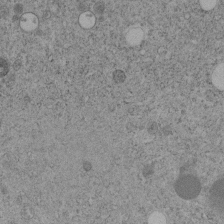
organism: C. elegans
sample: C. elegans embryo early stage